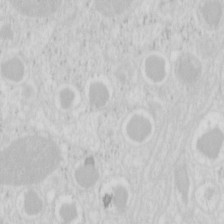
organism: Mouse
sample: Pancreas